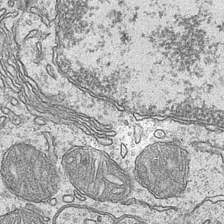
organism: Mouse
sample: CA1 Hippocampus